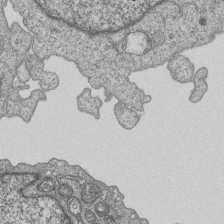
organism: Human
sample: MDA-MB-231 cells